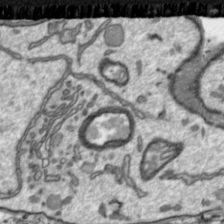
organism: Toxoplasma gondii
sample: Parasites in a vacuole inside a host cell